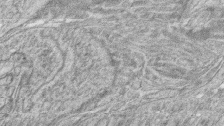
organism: Zebrafish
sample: synaptic ribbons in rod cells and cone cells